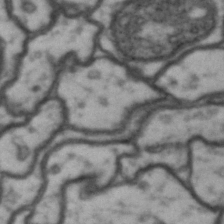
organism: Drosophila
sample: Brain